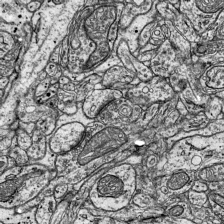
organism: Mouse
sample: Visual Cortex